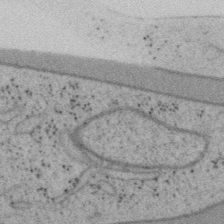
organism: Human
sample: HeLa cells